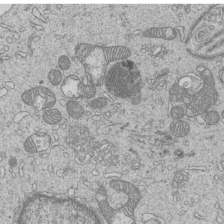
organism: Human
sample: MDA-MB-231 cells